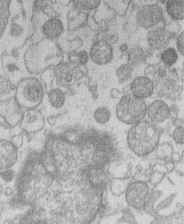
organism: Human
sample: Macrophage cells